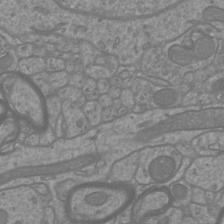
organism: Mouse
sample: Cortical neurons